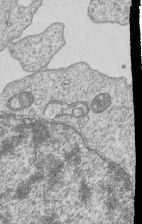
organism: Human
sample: MDA-MB-231 cells